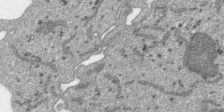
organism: Human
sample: Lung epithelial cells infected with SARS-CoV-2